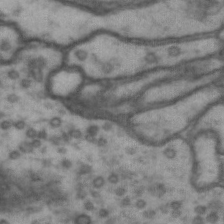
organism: Drosophila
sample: Brain